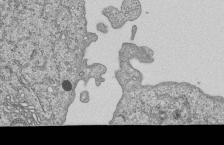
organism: Human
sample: MDA-MB-231 cells